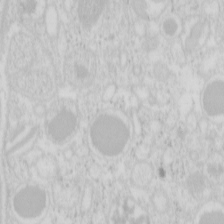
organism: Mouse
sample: Pancreas